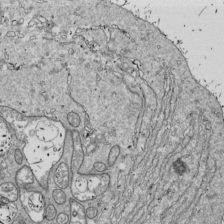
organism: Drosophila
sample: Cell division; meiosis; drosophila spermatocytes